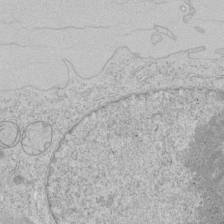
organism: Human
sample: Mitochondria in HCT116 cells